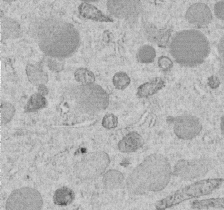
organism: C. elegans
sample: C. elegans embryo early stage